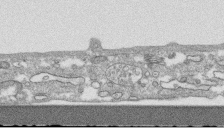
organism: Human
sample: CRL-1474